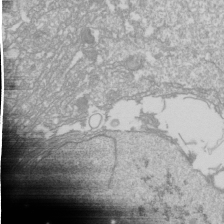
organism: Drosophila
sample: Cell division; meiosis; drosophila spermatocytes